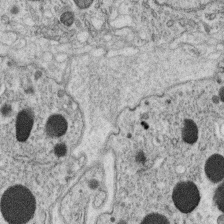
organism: C. elegans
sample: C. elegans oocyte; sperm cells